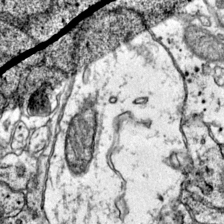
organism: Mouse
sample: Primary visual cortex